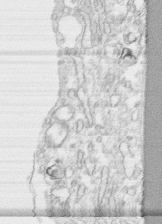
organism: Human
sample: CRL-1474